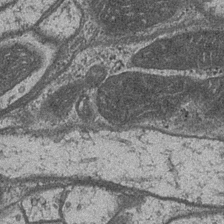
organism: Drosophila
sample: Optic medulla